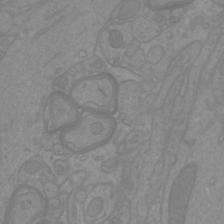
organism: Mouse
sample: Cortical neurons